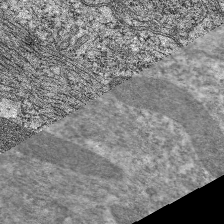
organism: C. elegans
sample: Pharynx